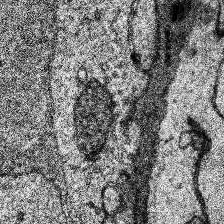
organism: Human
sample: Temporal Lobe